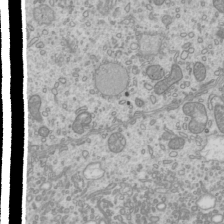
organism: Mouse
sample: Cilia; mouse epididymis